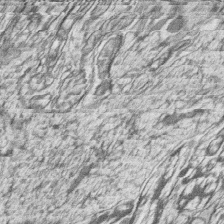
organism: Zebrafish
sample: synaptic ribbons in rod cells and cone cells